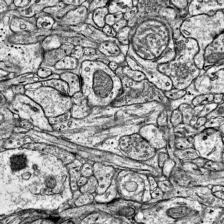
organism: Mouse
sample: Visual Cortex